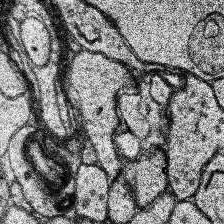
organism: Human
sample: Temporal Lobe